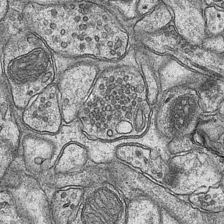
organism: Mouse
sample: CA1 Hippocampus